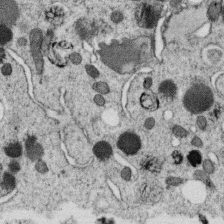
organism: C. elegans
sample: C. elegans oocyte; sperm cells